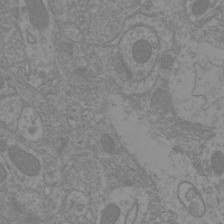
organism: Mouse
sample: Cortical neurons